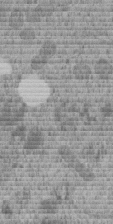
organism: C. elegans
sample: C. elegans embryo early stage